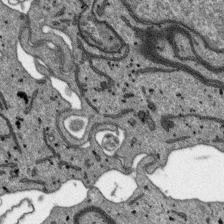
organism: Human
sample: Lung epithelial cells, uninfected (mock) control